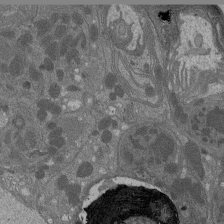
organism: Drosophila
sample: Antenna